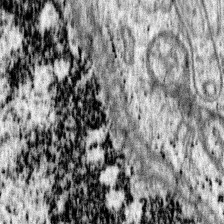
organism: Human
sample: HeLa cells